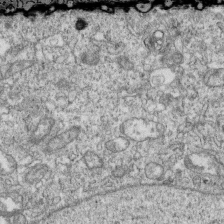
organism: Human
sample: HeLa cell HIV synapse